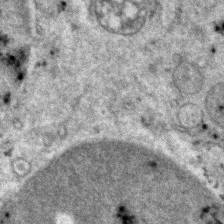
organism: Zebrafish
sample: Zebrafish embryo